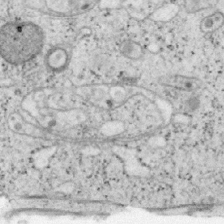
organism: Mouse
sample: OT-I killer T cells with ID8 ovarian cancer cells